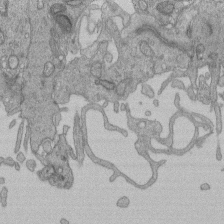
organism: Human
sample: Retinal organoid Rod and Cone cells